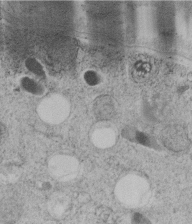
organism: C. elegans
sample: C. elegans embryo early stage